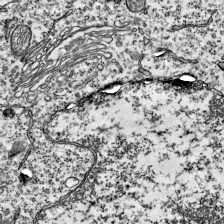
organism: Mouse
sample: Visual Cortex